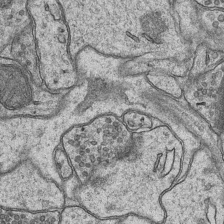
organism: Mouse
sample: CA1 Hippocampus